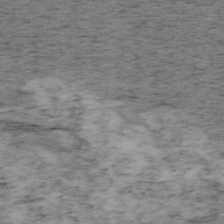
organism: Mouse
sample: OT-I killer T cells with ID8 ovarian cancer cells